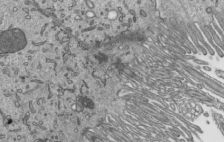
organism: Mouse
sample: Mouse epididymis efferent ductule cilia